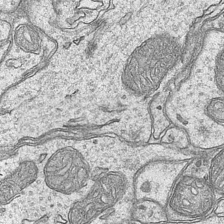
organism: Mouse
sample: CA1 Hippocampus